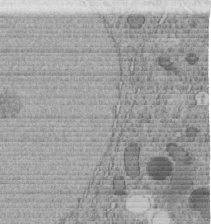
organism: C. elegans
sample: C. elegans embryo early stage